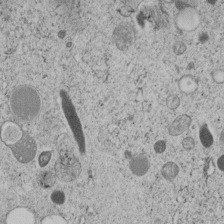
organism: C. elegans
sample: C. elegans embryo early stage